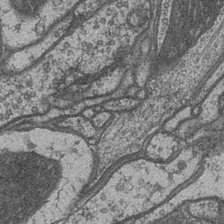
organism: Drosophila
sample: Optic medulla